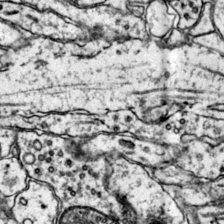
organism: Mouse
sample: Primary visual cortex